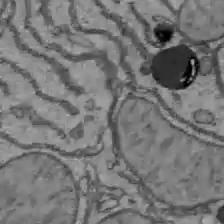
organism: C57BL Mouse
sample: Liver